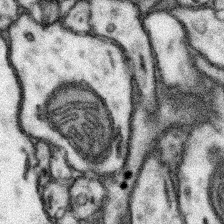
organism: Mouse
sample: Somatosensory cortex neuropil